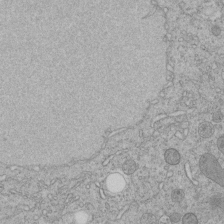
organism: C. elegans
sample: C. elegans embryo early stage